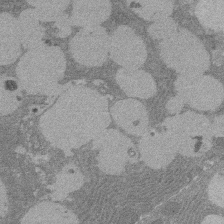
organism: Rat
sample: Salivary granule